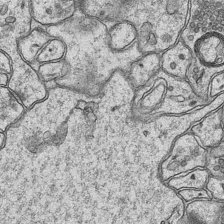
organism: Mouse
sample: CA1 Hippocampus